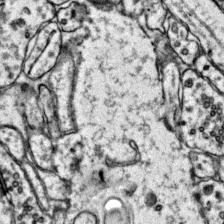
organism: Mouse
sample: Primary visual cortex